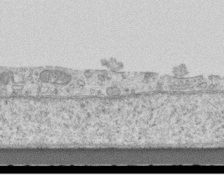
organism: Mouse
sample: Centriole in ependymal cells